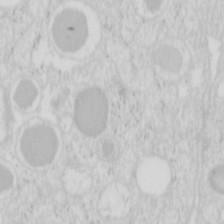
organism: Mouse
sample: Pancreas